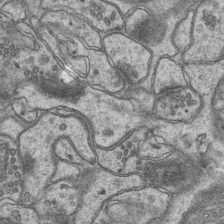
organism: Mouse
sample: CA1 Hippocampus